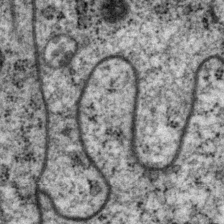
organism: P. pacificus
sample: Pharynx